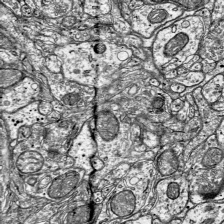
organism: Mouse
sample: Visual Cortex